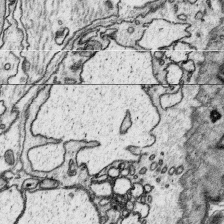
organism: Platynereis dumerilii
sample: Parapodia